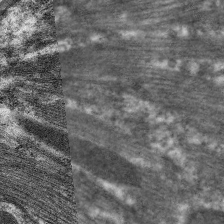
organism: C. elegans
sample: Pharynx